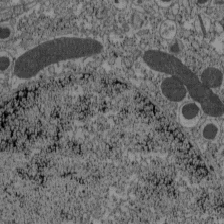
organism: C57BL Mouse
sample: Pancreatic islet